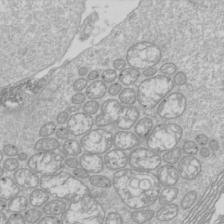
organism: Drosophila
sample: Cell division; meiosis; drosophila spermatocytes